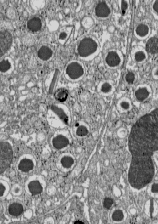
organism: C57BL Mouse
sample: Pancreatic islet